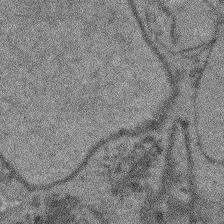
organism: Arabidopsis thaliana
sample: Root tip